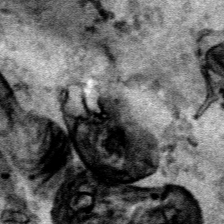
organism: Human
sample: Mitochondria in HCT116 cells